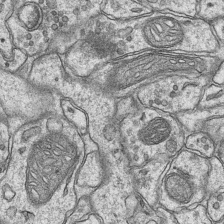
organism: Mouse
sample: CA1 Hippocampus